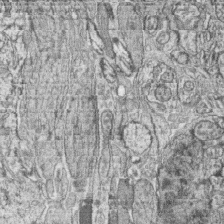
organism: Zebrafish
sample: synaptic ribbons in rod cells and cone cells